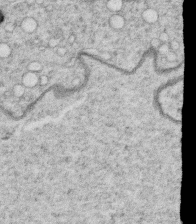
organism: C. elegans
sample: C. elegans oocyte; sperm cells